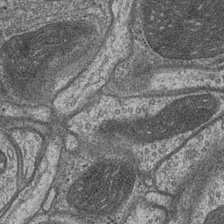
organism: Drosophila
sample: Optic medulla